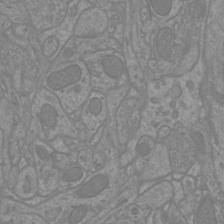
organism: Mouse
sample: Cortical neurons